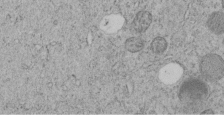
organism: C. elegans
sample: C. elegans embryo early stage